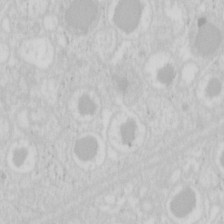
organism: Mouse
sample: Pancreas